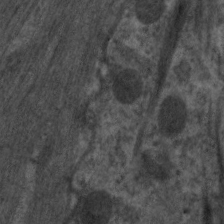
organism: C. elegans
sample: Pharynx